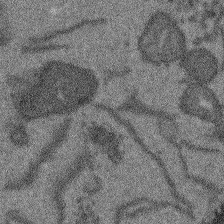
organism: Arabidopsis thaliana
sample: Root tip